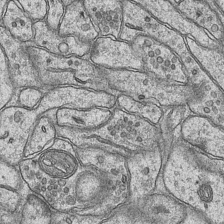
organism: Mouse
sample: CA1 Hippocampus